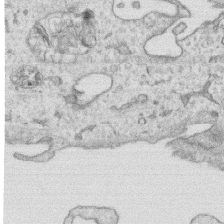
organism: Human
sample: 1205lu cells